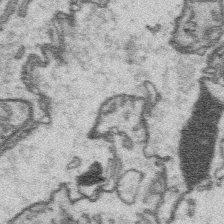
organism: Platynereis dumerilii